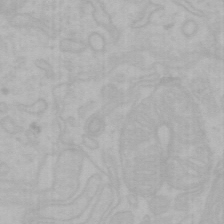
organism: Mouse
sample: Choroid plexus